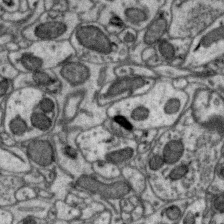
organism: Zebra finch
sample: Brain